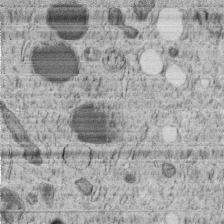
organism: C. elegans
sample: C. elegans embryo early stage